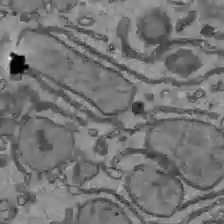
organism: C57BL Mouse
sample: Liver